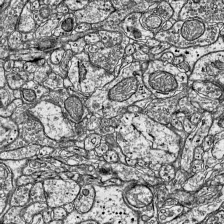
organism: Mouse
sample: Visual Cortex